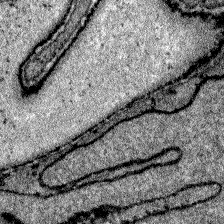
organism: Zebrafish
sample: Larval olfactory bulb